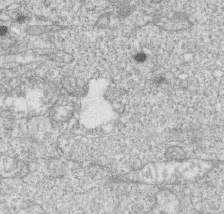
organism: Human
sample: HeLa cell HIV synapse